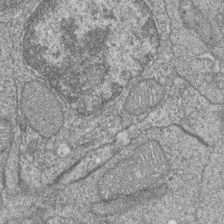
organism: Zebrafish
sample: Cilia; retinal pigment epithelium